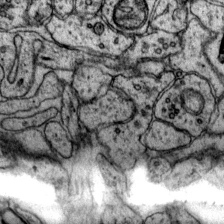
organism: Mouse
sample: Primary visual cortex